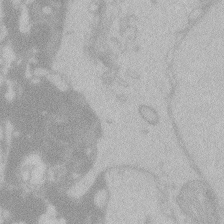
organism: Zebrafish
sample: Macrophage infected with Toxoplasma gondii